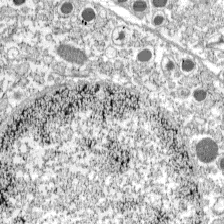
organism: C57BL Mouse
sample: Pancreatic islet